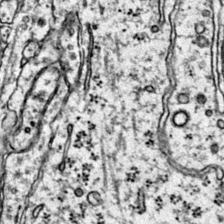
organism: Mouse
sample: Primary visual cortex